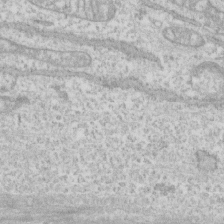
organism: Human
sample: CRL-1474